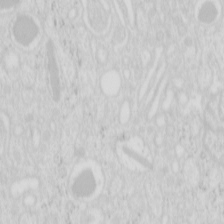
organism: Mouse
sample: Pancreas